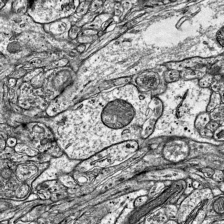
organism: Mouse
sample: Visual Cortex